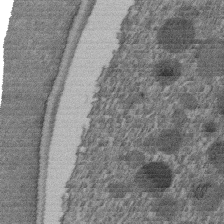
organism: C. elegans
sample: C. elegans embryo early stage